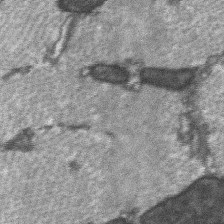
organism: C57BL Mouse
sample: Soleus